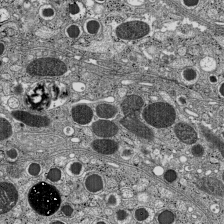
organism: C57BL Mouse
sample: Pancreatic islet